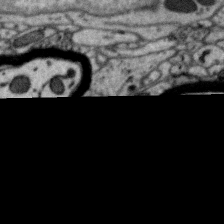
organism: Zebra finch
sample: Brain